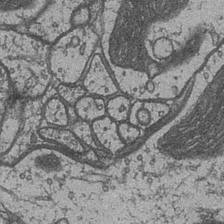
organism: Drosophila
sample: Optic medulla